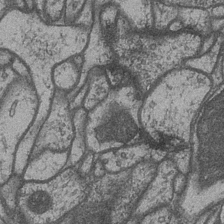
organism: Drosophila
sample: Optic medulla